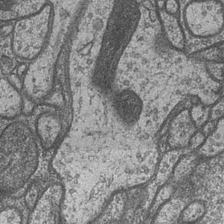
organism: Drosophila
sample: Optic medulla